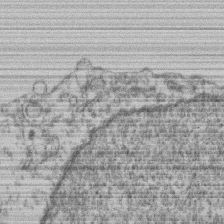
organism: Mouse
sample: T cell stromal cell synapse